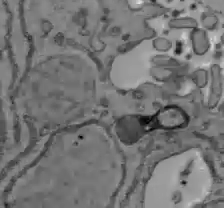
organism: C57BL Mouse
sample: Liver